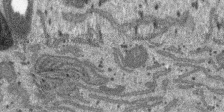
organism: Human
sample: Lung epithelial cells infected with SARS-CoV-2